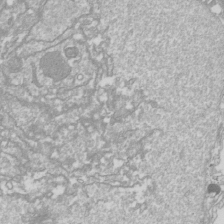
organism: Drosophila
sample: Cell division; meiosis; drosophila spermatocytes